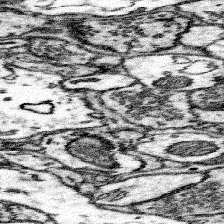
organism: Mouse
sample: Somatosensory cortex neuropil